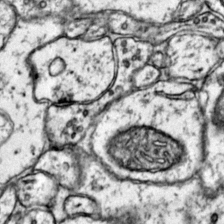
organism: Mouse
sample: Primary visual cortex